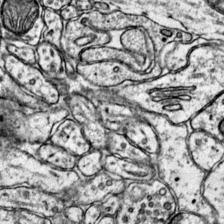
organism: Mouse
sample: Primary visual cortex